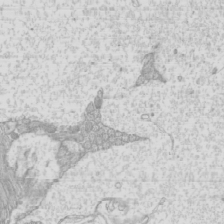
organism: Mouse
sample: Cilia; mouse epididymis